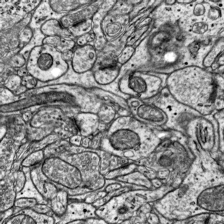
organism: Mouse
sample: Visual Cortex